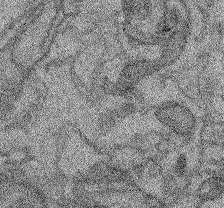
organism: Human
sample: HeLa cells